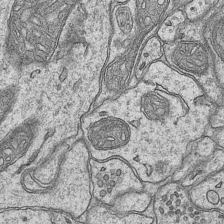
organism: Mouse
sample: CA1 Hippocampus